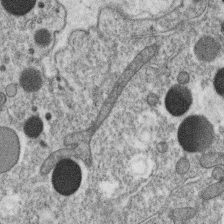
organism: C. elegans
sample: C. elegans oocyte; sperm cells